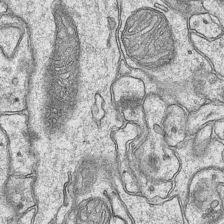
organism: Mouse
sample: CA1 Hippocampus